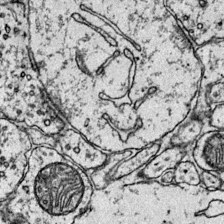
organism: Mouse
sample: Primary visual cortex